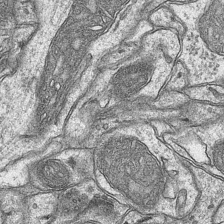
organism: Mouse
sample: CA1 Hippocampus